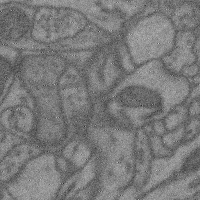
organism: Mouse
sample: Cerebral cortex